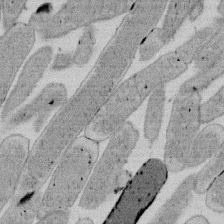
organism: E. coli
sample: Bacterial nucleoid